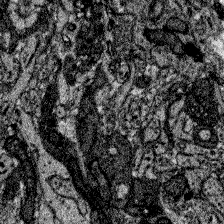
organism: Zebrafish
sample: Larval olfactory bulb